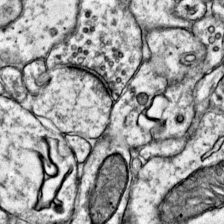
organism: Mouse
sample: Primary visual cortex